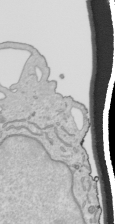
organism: Human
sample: Mitochondria in HCT116 cells